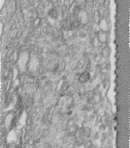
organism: Human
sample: Centriole in fibroblast cells